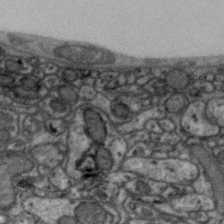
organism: Zebra finch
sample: Brain